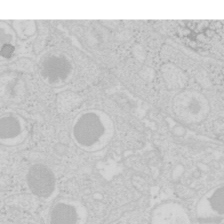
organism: Mouse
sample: Pancreas